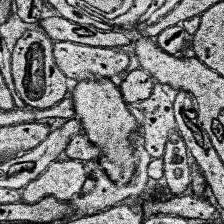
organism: Human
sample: Temporal Lobe